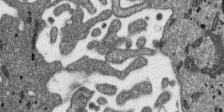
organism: Human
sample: Lung epithelial cells infected with SARS-CoV-2